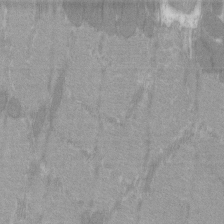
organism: C57BL Mouse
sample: Tibialis anterior muscle cell